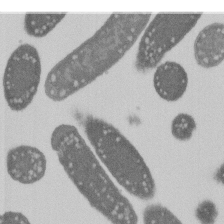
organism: E. coli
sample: Bacterial nucleoid